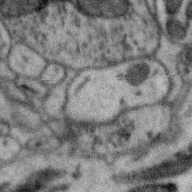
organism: Zebra finch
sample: Brain